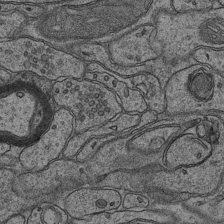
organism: Mouse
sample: CA1 Hippocampus